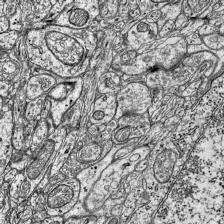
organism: Mouse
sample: Visual Cortex